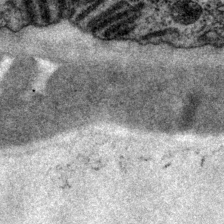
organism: P. pacificus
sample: Pharynx